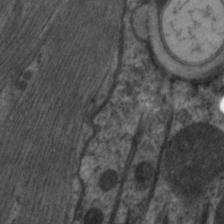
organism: C. elegans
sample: Pharynx